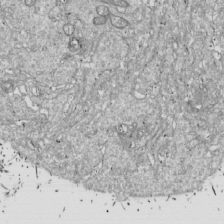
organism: Drosophila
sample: Cell division; meiosis; drosophila spermatocytes